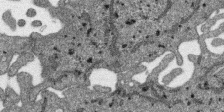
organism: Human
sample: Lung epithelial cells infected with SARS-CoV-2